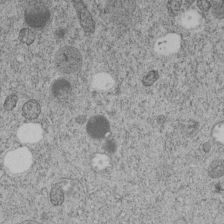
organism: C. elegans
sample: C. elegans embryo early stage